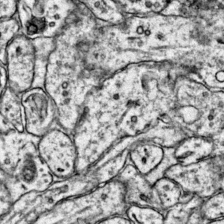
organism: Mouse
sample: Primary visual cortex